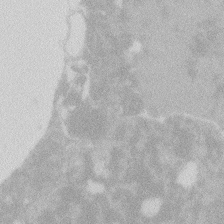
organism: Zebrafish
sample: Macrophage